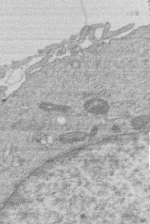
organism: Human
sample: Macrophage cells